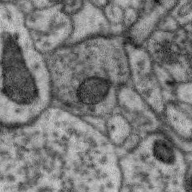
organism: Zebra finch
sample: Brain